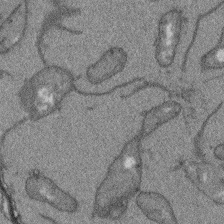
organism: Arabidopsis thaliana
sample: Root tip